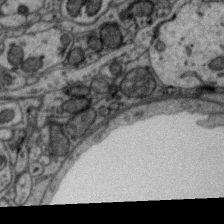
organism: Zebra finch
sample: Brain